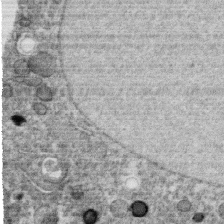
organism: C. elegans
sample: C. elegans oocyte; sperm cells